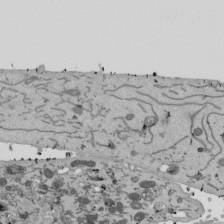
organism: Mouse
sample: ED-1 cell nuclei; centrioles